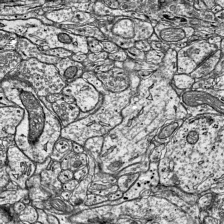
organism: Mouse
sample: Visual Cortex